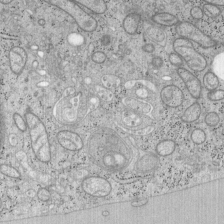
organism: Mouse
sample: OT-I killer T cells with ID8 ovarian cancer cells